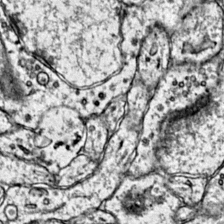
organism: Mouse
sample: Primary visual cortex